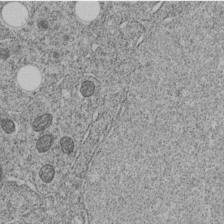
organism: C. elegans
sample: C. elegans embryo early stage